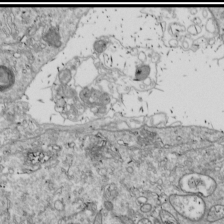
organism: Drosophila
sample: Cell division; meiosis; drosophila spermatocytes